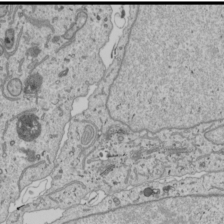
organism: Human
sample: Mitochondria in U2OS cells